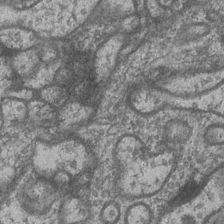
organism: Drosophila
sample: Optic medulla